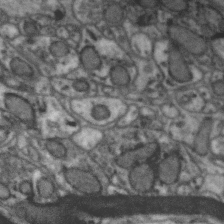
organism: Zebra finch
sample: Brain